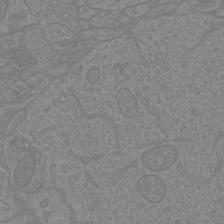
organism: Mouse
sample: Cortical neurons